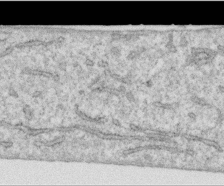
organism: Human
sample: Centriole in RPE cells